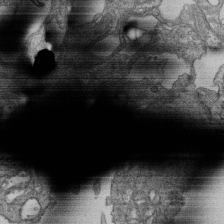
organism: Human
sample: Retinal organoid Rod and Cone cells